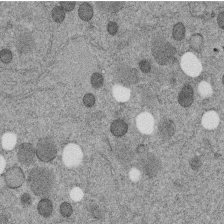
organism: C. elegans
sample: C. elegans embryo early stage